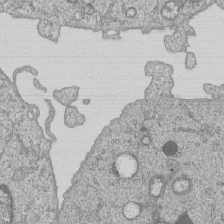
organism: Human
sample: MDA-MB-231 cells